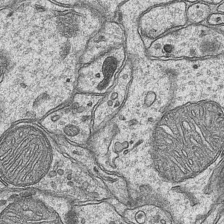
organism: Mouse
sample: CA1 Hippocampus